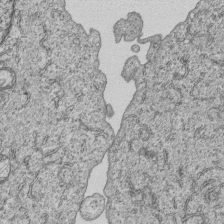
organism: Human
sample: MDA-MB-231 cells